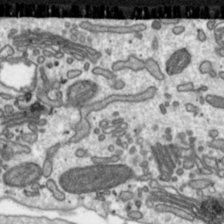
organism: Toxoplasma gondii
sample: Parasites in a vacuole inside a host cell